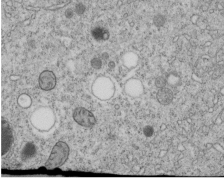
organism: C. elegans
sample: C. elegans embryo early stage